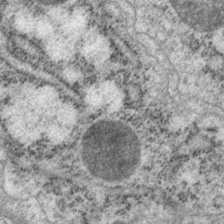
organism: P. pacificus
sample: Pharynx